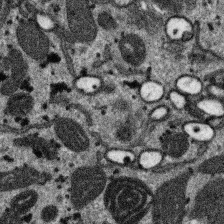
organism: Human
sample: Lung epithelial cells infected with SARS-CoV-2